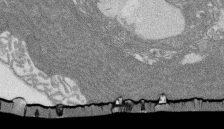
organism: Rat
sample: Salivary granule